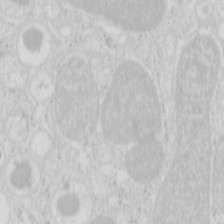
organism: Mouse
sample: Pancreas